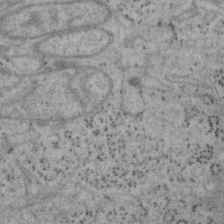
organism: Human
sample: HeLa cells